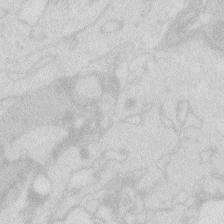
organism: Zebrafish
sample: Macrophage